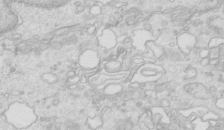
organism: Mouse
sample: Multiciliated cells